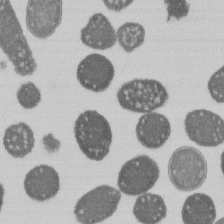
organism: E. coli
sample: Bacterial nucleoid